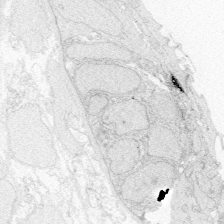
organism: Zebrafish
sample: Whole-Brain